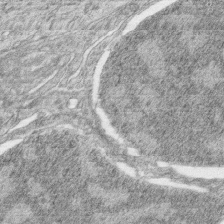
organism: Zebrafish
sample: synaptic ribbons in rod cells and cone cells